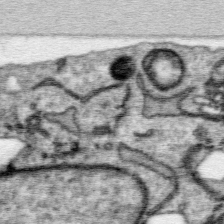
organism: Human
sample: HeLa cells